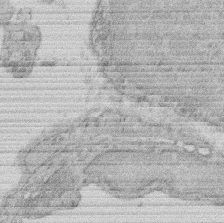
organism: Rat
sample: Salivary granule